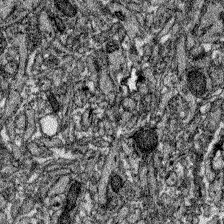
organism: Zebrafish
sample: Larval olfactory bulb